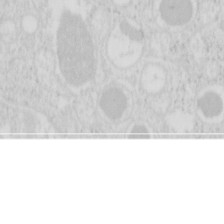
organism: Mouse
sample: Pancreas